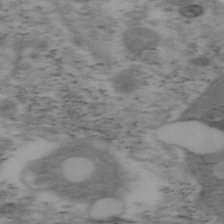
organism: Mouse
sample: OT-I killer T cells with ID8 ovarian cancer cells